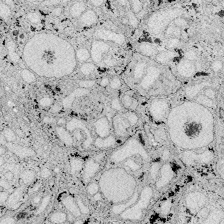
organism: Zebrafish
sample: Whole-Brain